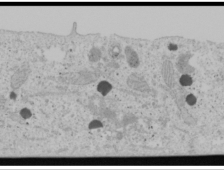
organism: Human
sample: Mitochondria in U2OS cells